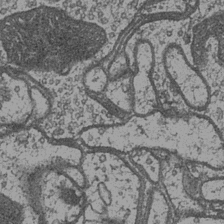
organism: Drosophila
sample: Optic medulla